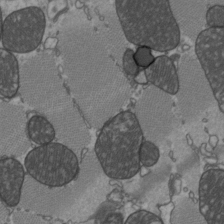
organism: C57BL Mouse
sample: Heart